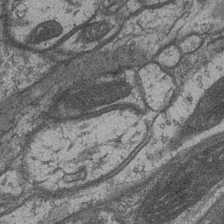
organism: Drosophila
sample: Optic medulla